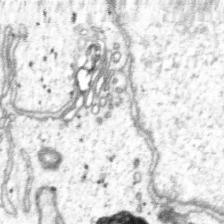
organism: Human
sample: HeLa cells